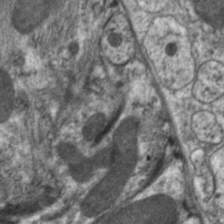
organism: C. elegans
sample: Pharynx